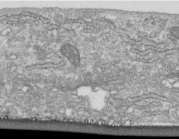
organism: Human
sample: Centriole in fibroblast cells